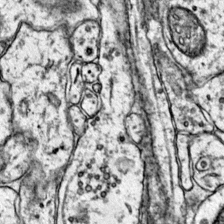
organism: Mouse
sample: Primary visual cortex